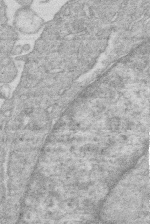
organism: Human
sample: Macrophage cells